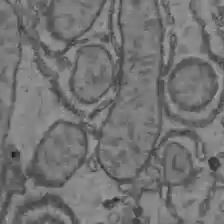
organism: C57BL Mouse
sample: Liver